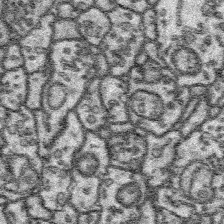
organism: Platynereis dumerilii